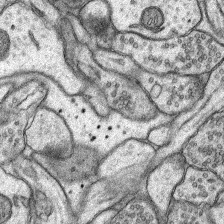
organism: Rat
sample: Hippocampus